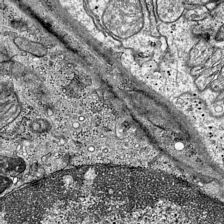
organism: Mouse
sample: Visual Cortex